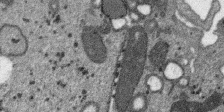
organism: Human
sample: Lung epithelial cells infected with SARS-CoV-2